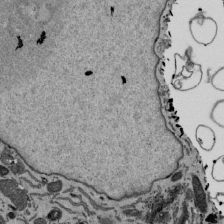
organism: Mouse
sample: ED-1 cell nuclei; centrioles